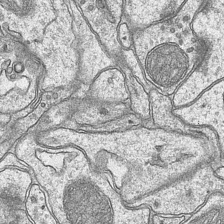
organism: Mouse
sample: CA1 Hippocampus